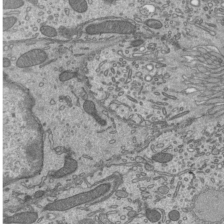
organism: Mouse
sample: Mouse epididymis efferent ductule cilia